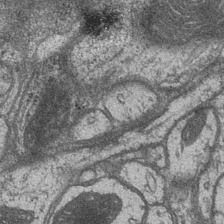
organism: Drosophila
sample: Optic medulla